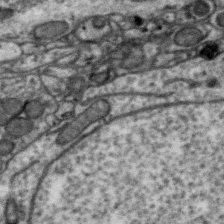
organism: Zebra finch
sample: Brain